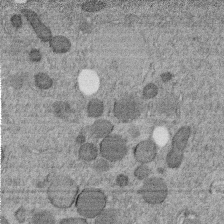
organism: C. elegans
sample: C. elegans embryo early stage